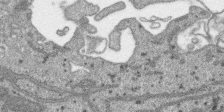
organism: Human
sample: Lung epithelial cells infected with SARS-CoV-2